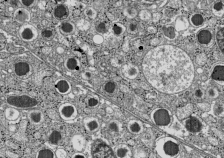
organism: C57BL Mouse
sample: Pancreatic islet